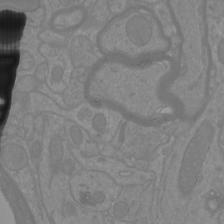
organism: Mouse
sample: Cortical neurons